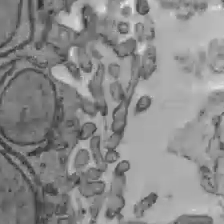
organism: C57BL Mouse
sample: Liver